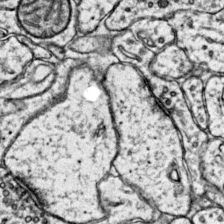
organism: Mouse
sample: Primary visual cortex